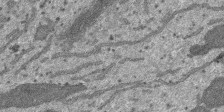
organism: Human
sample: Lung epithelial cells infected with SARS-CoV-2